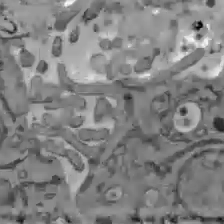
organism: C57BL Mouse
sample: Liver